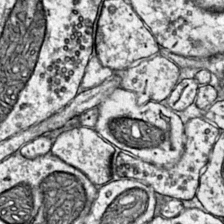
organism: Mouse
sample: Primary visual cortex